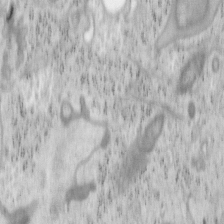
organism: Human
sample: HeLa cells